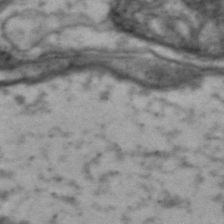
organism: Drosophila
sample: Brain